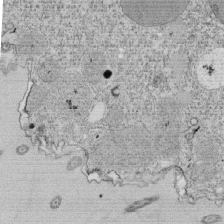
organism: Tetrahymena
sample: Cilia in tetrahymena